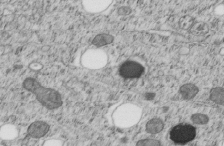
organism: C. elegans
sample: C. elegans embryo early stage